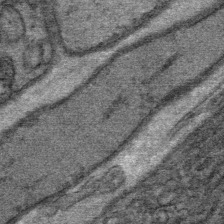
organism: Mouse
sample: Mouse Salivary gland